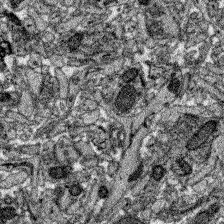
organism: Zebrafish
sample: Larval olfactory bulb